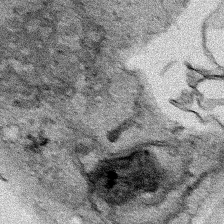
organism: Human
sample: Mitochondria in HCT116 cells